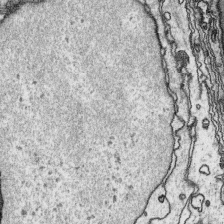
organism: Platynereis dumerilii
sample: Parapodia